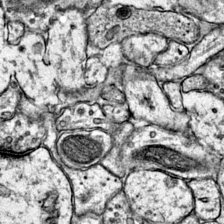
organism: Mouse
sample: Primary visual cortex